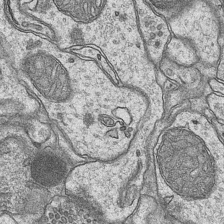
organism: Mouse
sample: CA1 Hippocampus